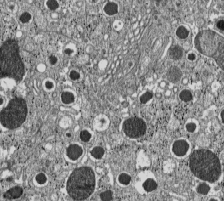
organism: C57BL Mouse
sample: Pancreatic islet